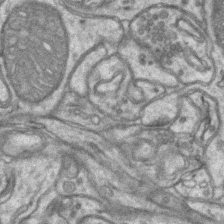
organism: Mouse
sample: CA1 Hippocampus